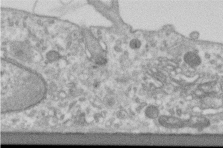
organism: Human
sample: Centriole in RPE cells